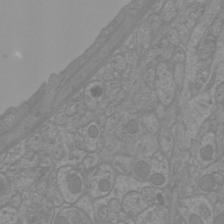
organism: Mouse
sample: Cortical neurons